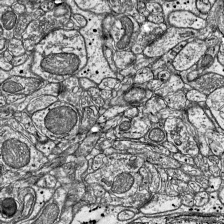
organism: Mouse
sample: Visual Cortex